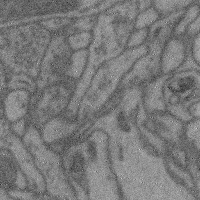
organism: Mouse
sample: Cerebral cortex